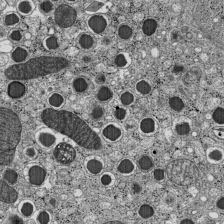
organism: C57BL Mouse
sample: Pancreatic islet